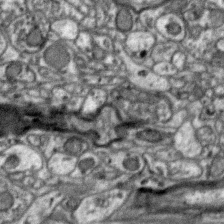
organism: Zebra finch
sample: Brain